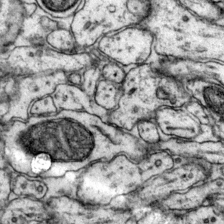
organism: Mouse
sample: Primary visual cortex